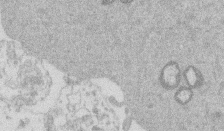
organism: Mouse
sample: Dividing mouse embryo 1 cell stage